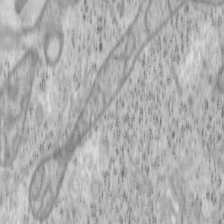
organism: Human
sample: HeLa cells